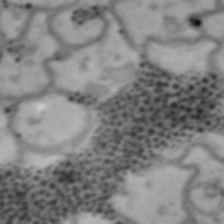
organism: Drosophila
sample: Brain